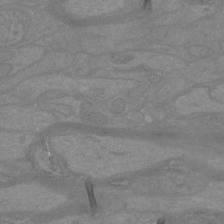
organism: Mouse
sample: Cortical neurons